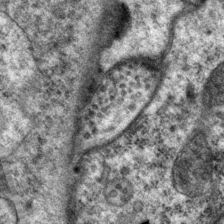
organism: P. pacificus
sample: Pharynx